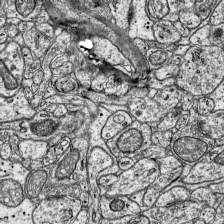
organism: Mouse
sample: Visual Cortex